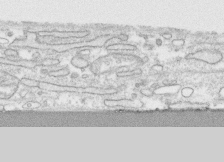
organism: Human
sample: CRL-1474